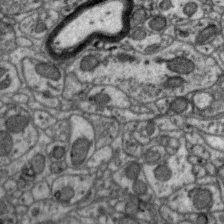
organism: Zebra finch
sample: Brain